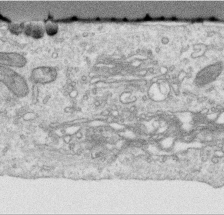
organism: Human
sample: Centriole in RPE cells